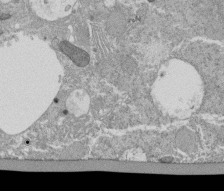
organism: Tetrahymena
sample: Cilia in tetrahymena